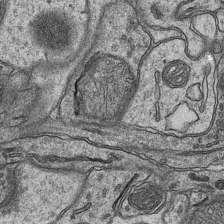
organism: Mouse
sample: CA1 Hippocampus